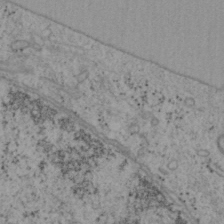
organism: Human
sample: HeLa cells